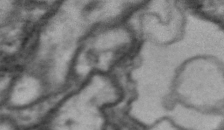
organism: Drosophila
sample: Brain